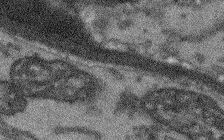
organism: Arabidopsis thaliana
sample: Root tip